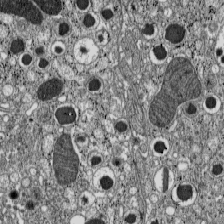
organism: C57BL Mouse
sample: Pancreatic islet